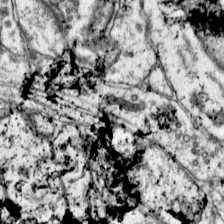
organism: Mouse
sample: Primary visual cortex